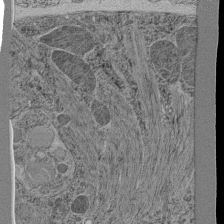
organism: C. elegans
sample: C. elegans pharynx